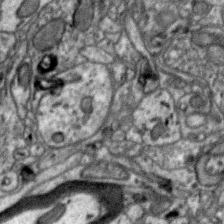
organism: Zebra finch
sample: Brain